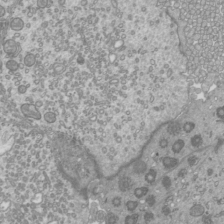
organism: Mouse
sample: Cilia; mouse epididymis